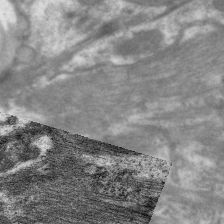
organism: C. elegans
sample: Pharynx